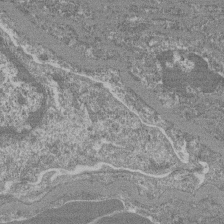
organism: Mouse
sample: Glomerulus